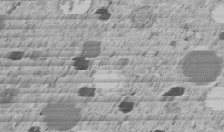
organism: C. elegans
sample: C. elegans embryo early stage